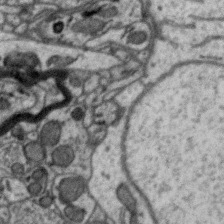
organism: Zebra finch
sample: Brain